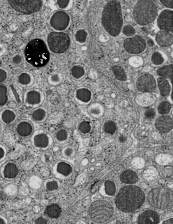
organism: C57BL Mouse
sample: Pancreatic islet